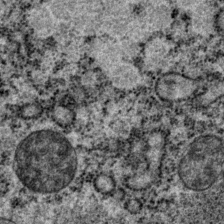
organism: P. pacificus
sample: Pharynx